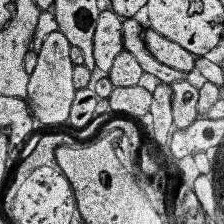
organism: Human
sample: Temporal Lobe